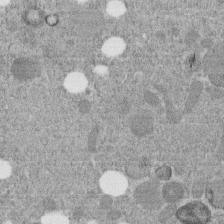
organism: C. elegans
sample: C. elegans embryo early stage